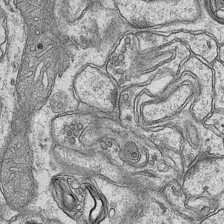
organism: Mouse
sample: CA1 Hippocampus